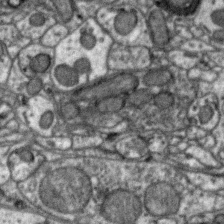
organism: Zebra finch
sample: Brain